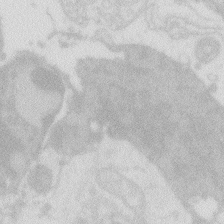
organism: Zebrafish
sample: Macrophage